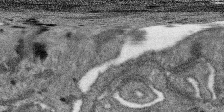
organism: Human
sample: Lung epithelial cells infected with SARS-CoV-2